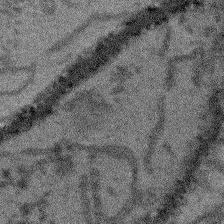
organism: Arabidopsis thaliana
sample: Root tip